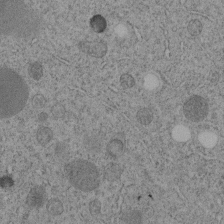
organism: C. elegans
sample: C. elegans embryo early stage